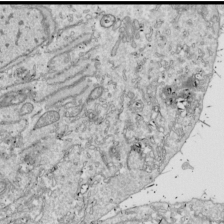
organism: Drosophila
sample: Cell division; meiosis; drosophila spermatocytes